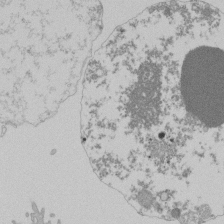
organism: Mouse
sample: Activated Pmel transgenic CD8+ T Cells